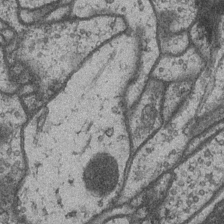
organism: Drosophila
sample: Optic medulla